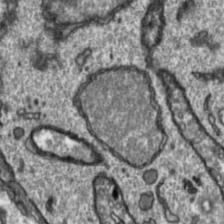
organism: Toxoplasma gondii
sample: Parasites in a vacuole inside a host cell